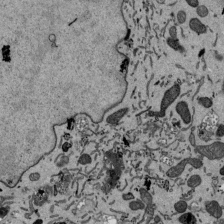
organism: Mouse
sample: ED-1 cell nuclei; centrioles